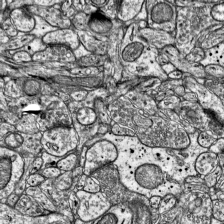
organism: Mouse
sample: Visual Cortex